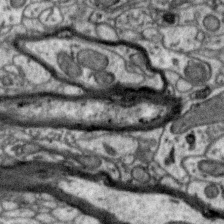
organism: Zebra finch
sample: Brain